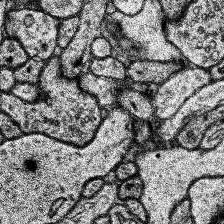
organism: Human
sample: Temporal Lobe